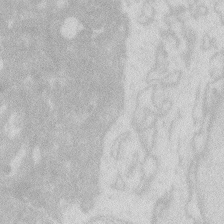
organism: Zebrafish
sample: Macrophage